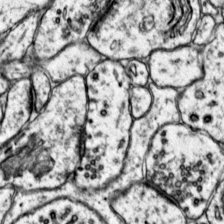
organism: Mouse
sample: Primary visual cortex